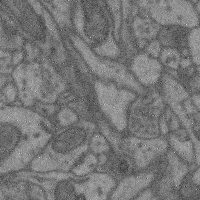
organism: Mouse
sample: Cerebral cortex